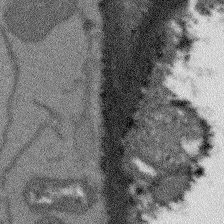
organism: Arabidopsis thaliana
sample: Root tip